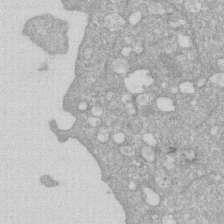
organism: Human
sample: HIV infected U937 cells